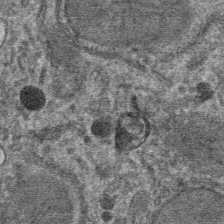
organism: Mouse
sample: Mouse hepatocytes